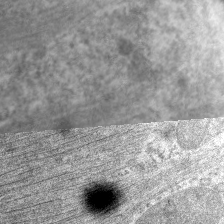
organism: C. elegans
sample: Pharynx